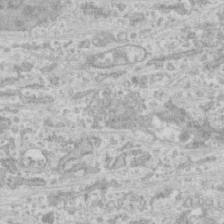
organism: Human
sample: CRL-1474